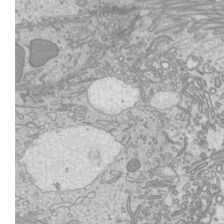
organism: Mouse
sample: Cilia; mouse epididymis